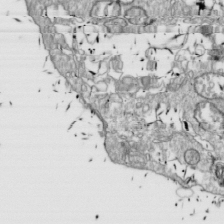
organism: Drosophila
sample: Cell division; meiosis; drosophila spermatocytes